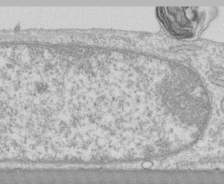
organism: Human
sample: CRL-1474